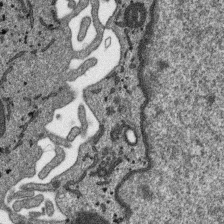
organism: Human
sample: Lung epithelial cells infected with SARS-CoV-2